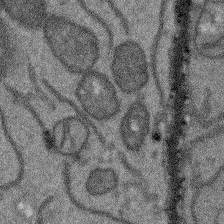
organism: Arabidopsis thaliana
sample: Root tip